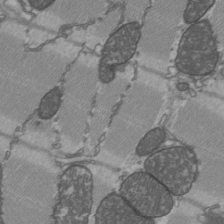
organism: C57BL Mouse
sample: Heart